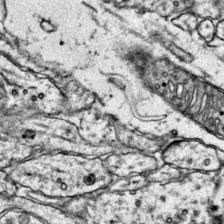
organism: Mouse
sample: Primary visual cortex